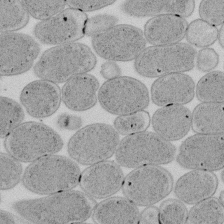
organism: E. coli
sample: Bacterial nucleoid